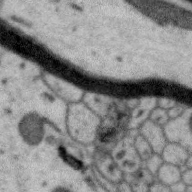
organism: Zebra finch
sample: Brain